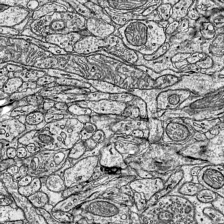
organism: Mouse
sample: Visual Cortex